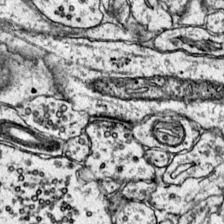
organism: Mouse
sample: Primary visual cortex